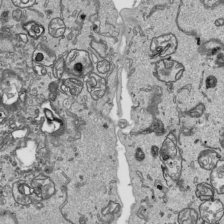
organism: Human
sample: Mitochondria in HCT116 cells